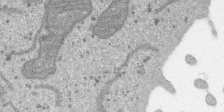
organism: Human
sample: Lung epithelial cells infected with SARS-CoV-2